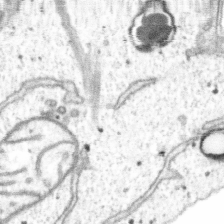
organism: Human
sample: HeLa cells